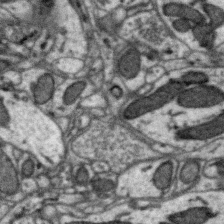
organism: Zebra finch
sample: Brain